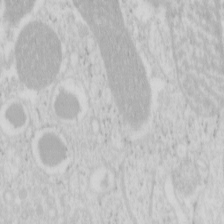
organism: Mouse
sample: Pancreas